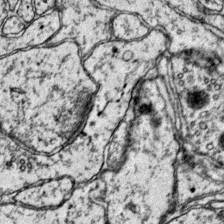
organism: Mouse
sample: Primary visual cortex